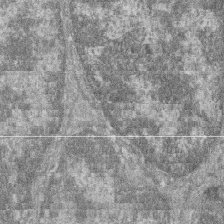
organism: Zebrafish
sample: Cilia; retinal pigment epithelium